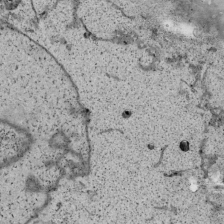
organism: Human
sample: Mitochondria in HCT116 cells